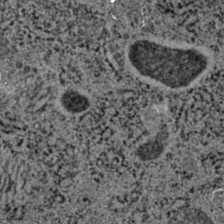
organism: C. elegans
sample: C. elegans embryo